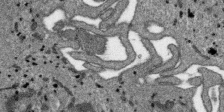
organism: Human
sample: Lung epithelial cells, uninfected (mock) control